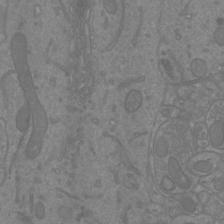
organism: Mouse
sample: Cortical neurons